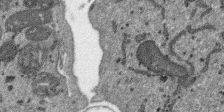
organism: Human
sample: Lung epithelial cells infected with SARS-CoV-2